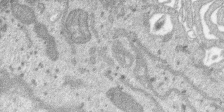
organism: Human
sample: Lung epithelial cells infected with SARS-CoV-2